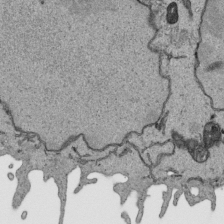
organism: Human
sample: Mitochondria in HCT116 cells